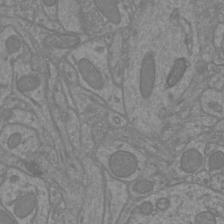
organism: Mouse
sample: Cortical neurons